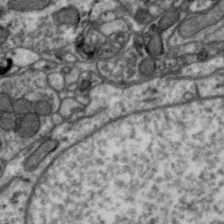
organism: Zebra finch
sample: Brain